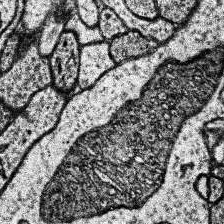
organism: Human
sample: Temporal Lobe